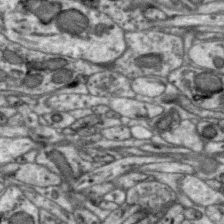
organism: Zebra finch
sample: Brain